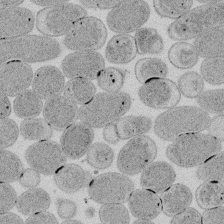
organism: E. coli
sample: Bacterial nucleoid